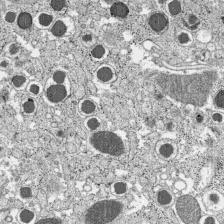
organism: C57BL Mouse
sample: Pancreatic islet